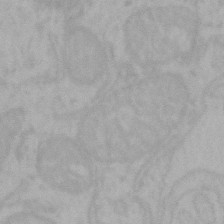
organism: Mouse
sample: Choroid plexus